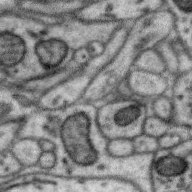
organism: Zebra finch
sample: Brain